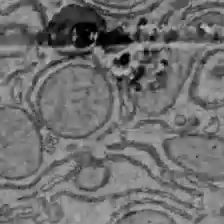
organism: C57BL Mouse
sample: Liver